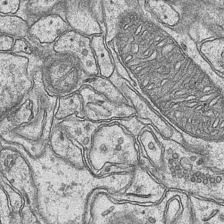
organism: Mouse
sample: CA1 Hippocampus